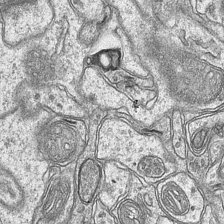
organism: Mouse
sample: CA1 Hippocampus